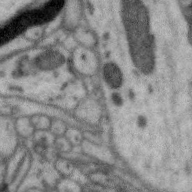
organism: Zebra finch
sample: Brain